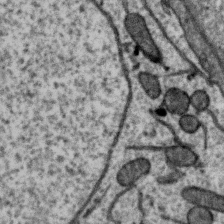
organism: Zebra finch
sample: Brain